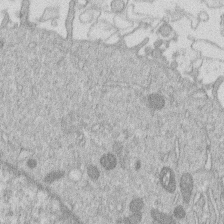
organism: Human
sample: Macrophage cells